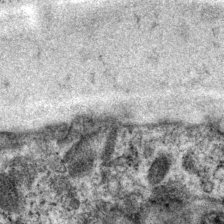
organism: P. pacificus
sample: Pharynx